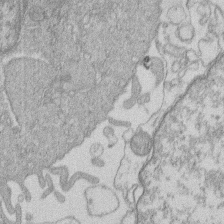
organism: Human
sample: Macrophage cells